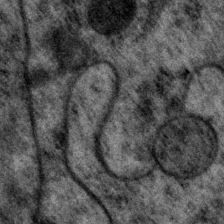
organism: P. pacificus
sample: Pharynx